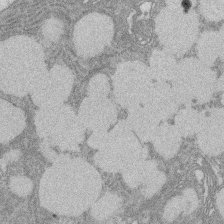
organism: Rat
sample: Salivary granule